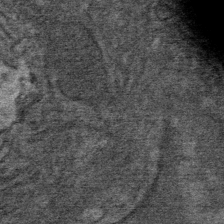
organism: Mouse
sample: Mouse Salivary gland